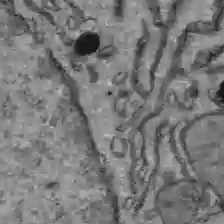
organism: C57BL Mouse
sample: Liver